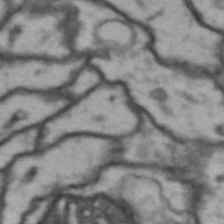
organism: Drosophila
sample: Brain